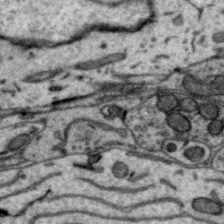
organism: Zebra finch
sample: Brain